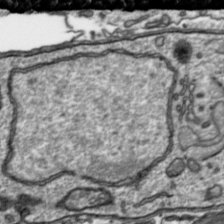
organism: Toxoplasma gondii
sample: Parasites in a vacuole inside a host cell